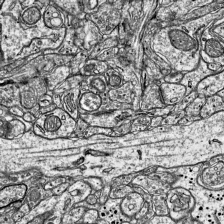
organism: Mouse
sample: Visual Cortex